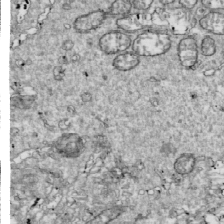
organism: Drosophila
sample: Cell division; meiosis; drosophila spermatocytes